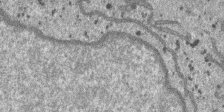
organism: Human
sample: Lung epithelial cells infected with SARS-CoV-2